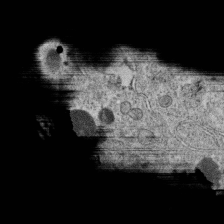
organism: C. elegans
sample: C. elegans oocyte; sperm cells